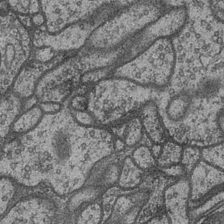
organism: Drosophila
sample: Optic medulla